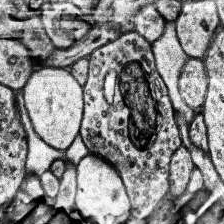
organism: Human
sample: Temporal Lobe